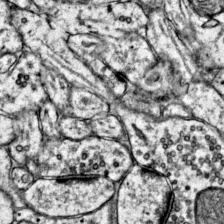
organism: Mouse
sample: Primary visual cortex